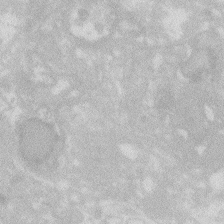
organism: Zebrafish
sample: Macrophage